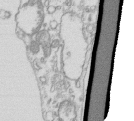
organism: Mouse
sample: Macrophages